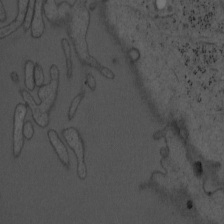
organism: Mouse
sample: OT-I killer T cells with ID8 ovarian cancer cells